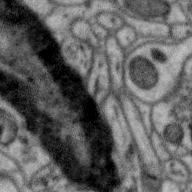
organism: Zebra finch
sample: Brain